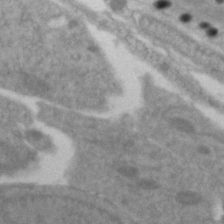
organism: Zebrafish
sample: Zebrafish embryo